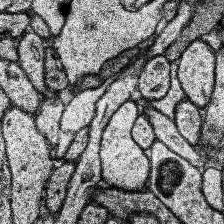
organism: Human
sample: Temporal Lobe